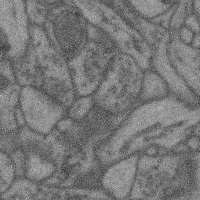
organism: Mouse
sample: Cerebral cortex